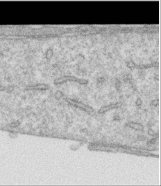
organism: Human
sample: Centriole in RPE cells